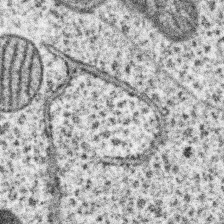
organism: Human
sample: HeLa cells